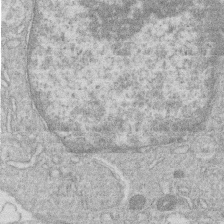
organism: Human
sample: Macrophage cells